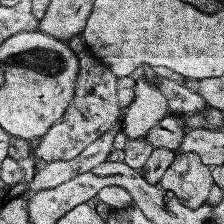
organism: Human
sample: Temporal Lobe